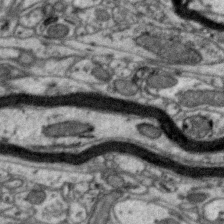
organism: Zebra finch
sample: Brain